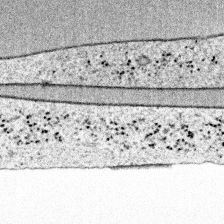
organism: Human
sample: HeLa cells